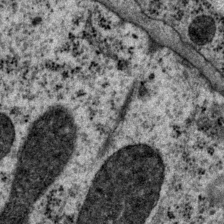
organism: P. pacificus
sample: Pharynx